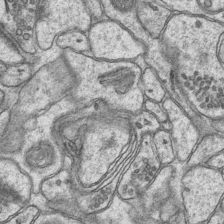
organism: Mouse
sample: CA1 Hippocampus